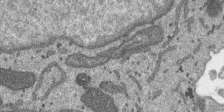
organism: Human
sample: Lung epithelial cells infected with SARS-CoV-2